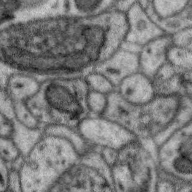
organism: Zebra finch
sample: Brain